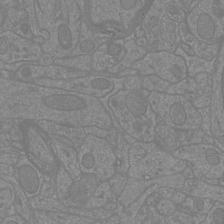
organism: Mouse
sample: Cortical neurons